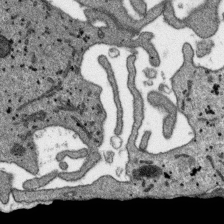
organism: Human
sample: Lung epithelial cells, uninfected (mock) control